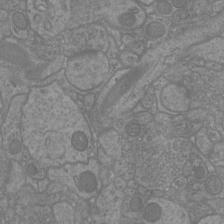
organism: Mouse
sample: Cortical neurons